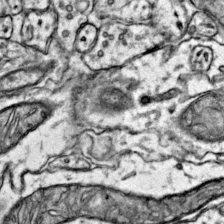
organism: Mouse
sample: Primary visual cortex